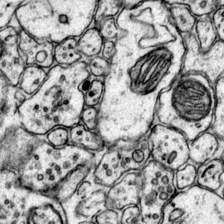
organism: Mouse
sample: Primary visual cortex